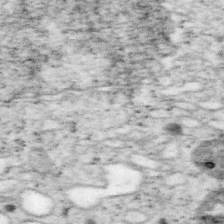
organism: Mouse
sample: OT-I killer T cells with ID8 ovarian cancer cells